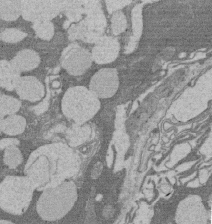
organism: Rat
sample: Salivary granule